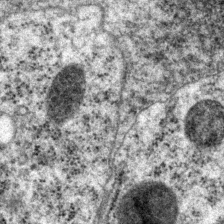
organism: P. pacificus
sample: Pharynx